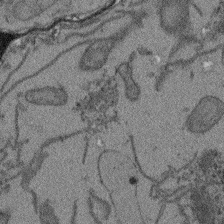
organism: Arabidopsis thaliana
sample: Root tip